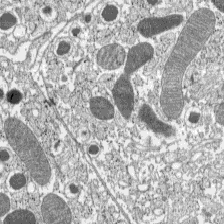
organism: C57BL Mouse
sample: Pancreatic islet